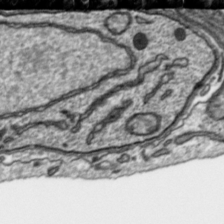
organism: Toxoplasma gondii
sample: Parasites in a vacuole inside a host cell